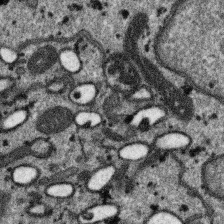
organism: Human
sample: Lung epithelial cells infected with SARS-CoV-2